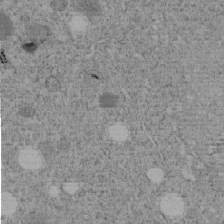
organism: C. elegans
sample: C. elegans embryo early stage